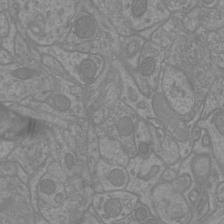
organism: Mouse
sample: Cortical neurons